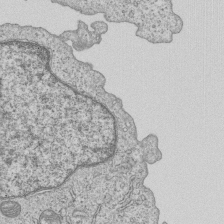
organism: Human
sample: MDA-MB-231 cells